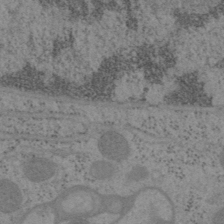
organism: Mouse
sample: OT-I killer T cells with ID8 ovarian cancer cells